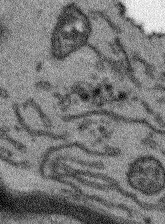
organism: Arabidopsis thaliana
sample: Root tip